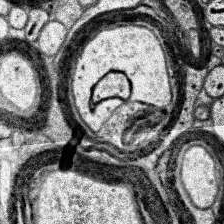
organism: Human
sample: Temporal Lobe